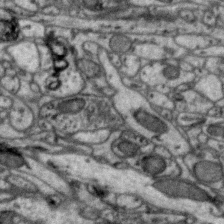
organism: Zebra finch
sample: Brain